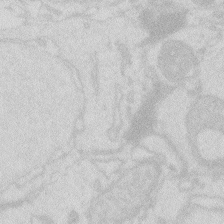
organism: Zebrafish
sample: Macrophage